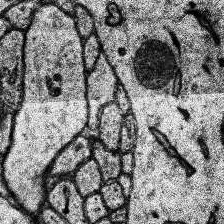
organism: Human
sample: Temporal Lobe